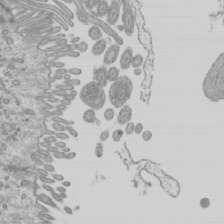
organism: Mouse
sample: Cilia; mouse epididymis